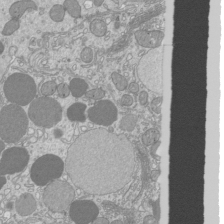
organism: Mouse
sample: Cilia; mouse epididymis